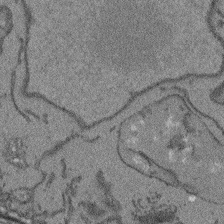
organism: Arabidopsis thaliana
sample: Root tip